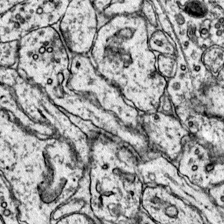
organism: Mouse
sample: Primary visual cortex